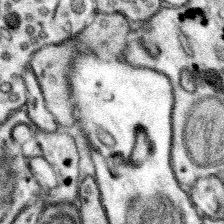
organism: Mouse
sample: Somatosensory cortex neuropil